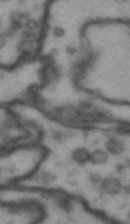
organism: Drosophila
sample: Brain